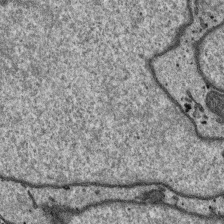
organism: Human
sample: Lung epithelial cells, uninfected (mock) control